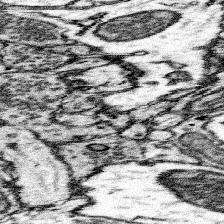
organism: Mouse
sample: Somatosensory cortex neuropil